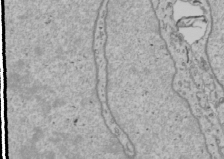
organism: Human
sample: Mitochondria in U2OS cells